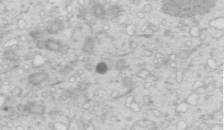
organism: Mouse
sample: Multiciliated cells